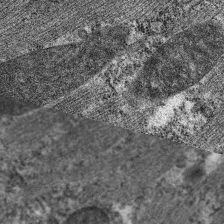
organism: C. elegans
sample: Pharynx